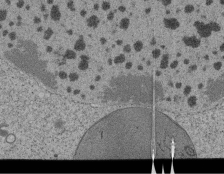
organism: Tetrahymena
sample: Cilia in tetrahymena